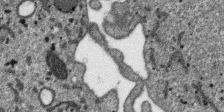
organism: Human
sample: Lung epithelial cells infected with SARS-CoV-2